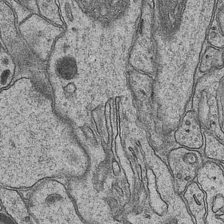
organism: Mouse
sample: CA1 Hippocampus